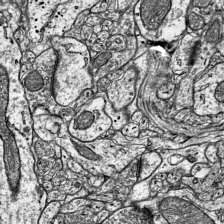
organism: Mouse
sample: Visual Cortex